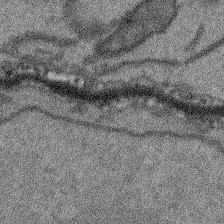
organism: Arabidopsis thaliana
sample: Root tip